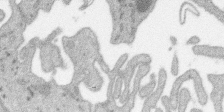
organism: Human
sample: Lung epithelial cells infected with SARS-CoV-2